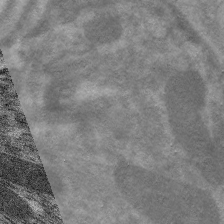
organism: C. elegans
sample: Pharynx